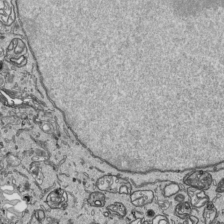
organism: Human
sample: Mitochondria in HCT116 cells